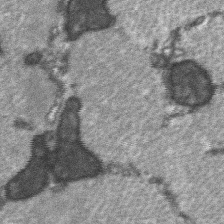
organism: C57BL Mouse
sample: Soleus